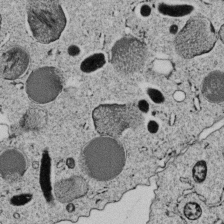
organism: C. elegans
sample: C. elegans embryo early stage